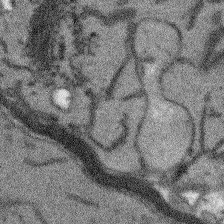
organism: Arabidopsis thaliana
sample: Root tip